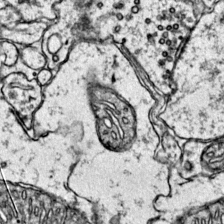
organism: Mouse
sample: Primary visual cortex